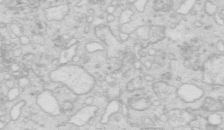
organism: Mouse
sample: Multiciliated cells